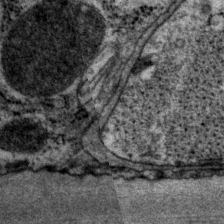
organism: P. pacificus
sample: Pharynx